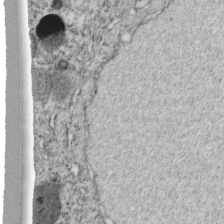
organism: C. elegans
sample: C. elegans embryo early stage